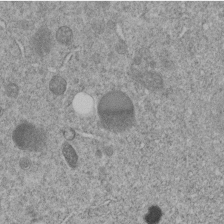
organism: C. elegans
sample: C. elegans embryo early stage